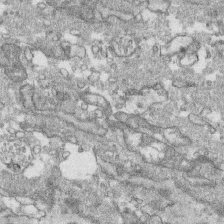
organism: Human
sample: CRL-1474